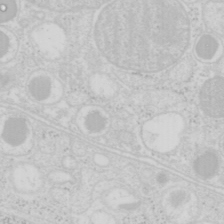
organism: Mouse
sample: Pancreas